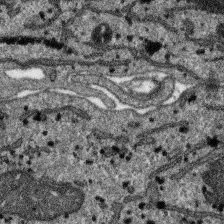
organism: Human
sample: Lung epithelial cells infected with SARS-CoV-2